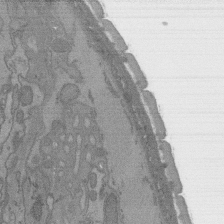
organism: C. elegans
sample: AFD neurons C. elegans